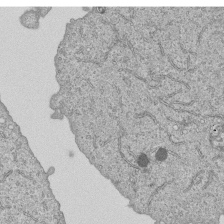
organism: Human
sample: MDA-MB-231 cells